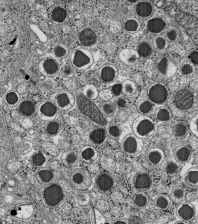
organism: C57BL Mouse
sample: Pancreatic islet